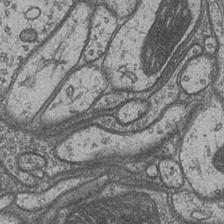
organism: Drosophila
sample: Optic medulla